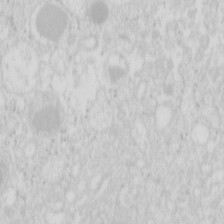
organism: Mouse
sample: Pancreas